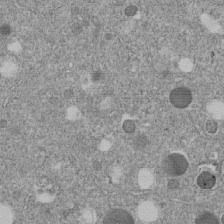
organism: C. elegans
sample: C. elegans embryo early stage